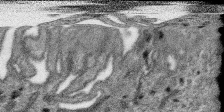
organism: Human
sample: Lung epithelial cells infected with SARS-CoV-2